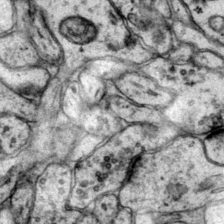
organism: Mouse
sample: Primary visual cortex